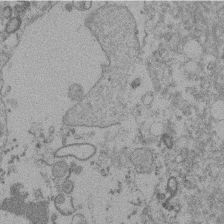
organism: Mouse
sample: Dividing mouse embryo 1 cell stage